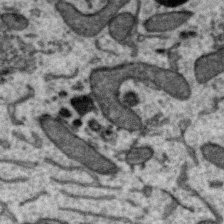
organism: Zebra finch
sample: Brain